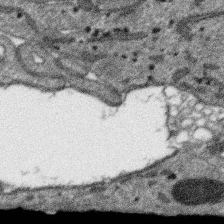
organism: Human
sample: Lung epithelial cells infected with SARS-CoV-2